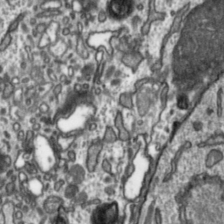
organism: Toxoplasma gondii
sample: Parasites in a vacuole inside a host cell